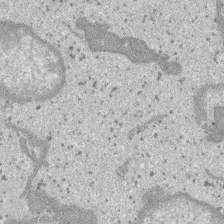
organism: Human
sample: Lung epithelial cells infected with SARS-CoV-2